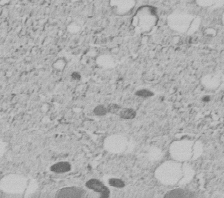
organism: C. elegans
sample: C. elegans embryo early stage